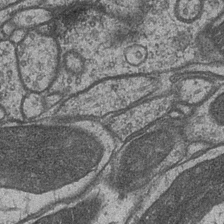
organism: Drosophila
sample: Optic medulla